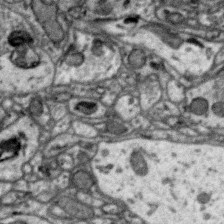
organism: Zebra finch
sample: Brain